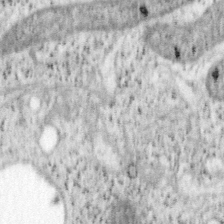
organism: Mouse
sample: OT-I killer T cells with ID8 ovarian cancer cells